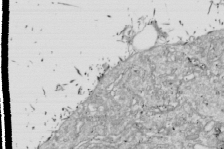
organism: Drosophila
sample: Cell division; meiosis; drosophila spermatocytes